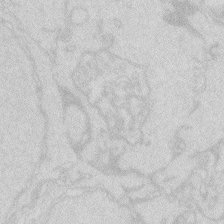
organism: Zebrafish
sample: Macrophage